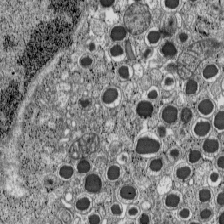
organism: C57BL Mouse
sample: Pancreatic islet